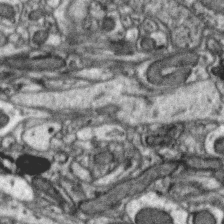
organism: Zebra finch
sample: Brain